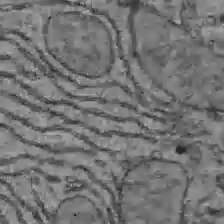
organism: C57BL Mouse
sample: Liver